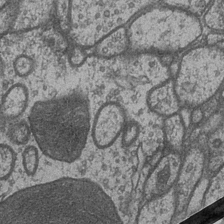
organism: Drosophila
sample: Optic medulla